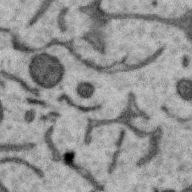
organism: Zebra finch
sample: Brain